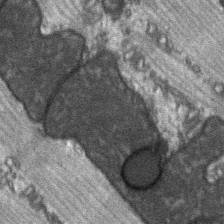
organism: C57BL Mouse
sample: Soleus